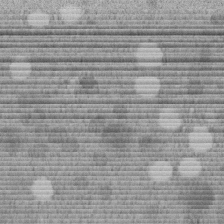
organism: C. elegans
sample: C. elegans embryo early stage